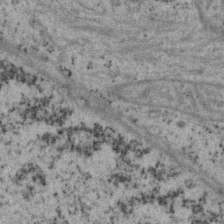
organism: Human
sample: HeLa cells